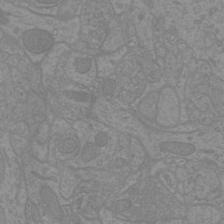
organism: Mouse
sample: Cortical neurons